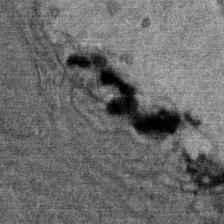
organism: Mouse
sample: Mouse Salivary gland